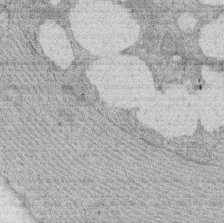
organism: Rat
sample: Salivary granule